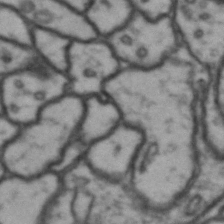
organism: Drosophila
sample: Brain